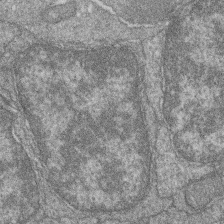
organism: Zebrafish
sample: Cilia; retinal pigment epithelium